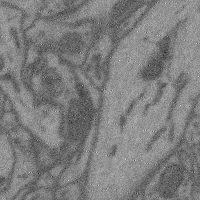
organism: Mouse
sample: Cerebral cortex